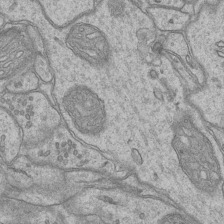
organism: Mouse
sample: CA1 Hippocampus